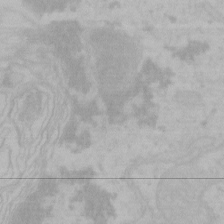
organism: Mouse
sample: Choroid plexus